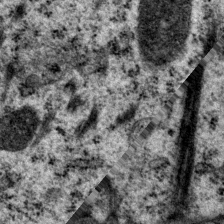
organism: P. pacificus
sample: Pharynx